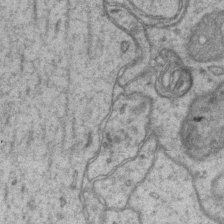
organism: Mouse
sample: CA1 Hippocampus